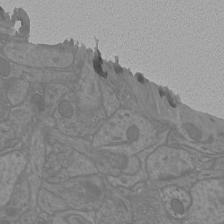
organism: Mouse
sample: Cortical neurons